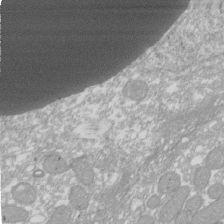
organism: Xenopus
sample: Cilia; centrioles in frog embryo cells